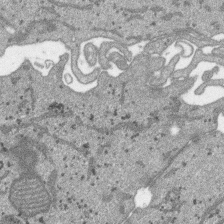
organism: Human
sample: Lung epithelial cells infected with SARS-CoV-2